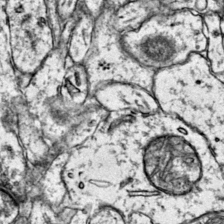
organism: Mouse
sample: Primary visual cortex